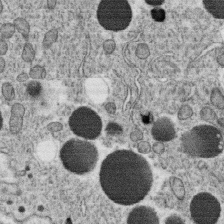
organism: C. elegans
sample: C. elegans oocyte; sperm cells